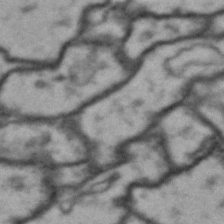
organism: Drosophila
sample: Brain